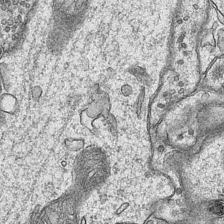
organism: Mouse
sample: CA1 Hippocampus